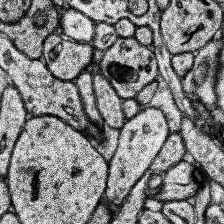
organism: Human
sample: Temporal Lobe